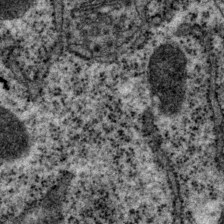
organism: P. pacificus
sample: Pharynx